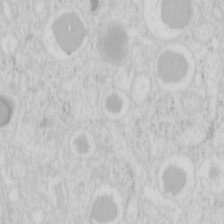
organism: Mouse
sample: Pancreas